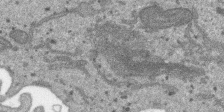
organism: Human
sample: Lung epithelial cells infected with SARS-CoV-2